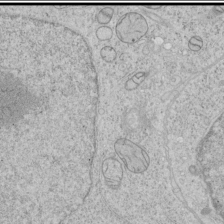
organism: Human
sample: Mitochondria in HCT116 cells